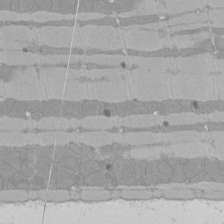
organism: Rat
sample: Left ventricle